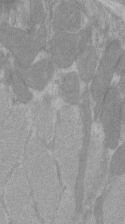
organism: C57BL Mouse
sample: Tibialis anterior muscle cell